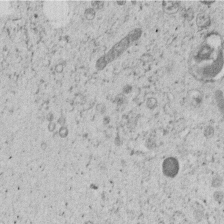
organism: C. elegans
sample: C. elegans embryo early stage